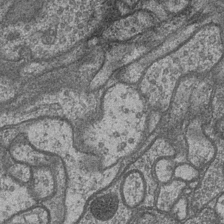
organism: Drosophila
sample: Optic medulla